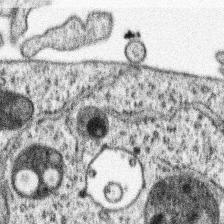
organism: Human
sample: HeLa cells